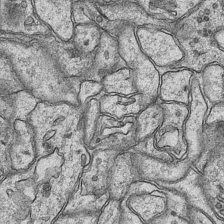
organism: Mouse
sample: CA1 Hippocampus